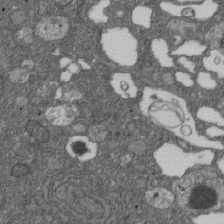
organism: Drosophila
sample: Nephrocyte